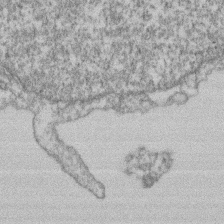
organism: Mouse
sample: T cell stromal cell synapse